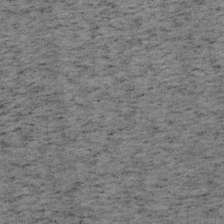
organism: Mouse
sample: OT-I killer T cells with ID8 ovarian cancer cells